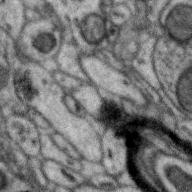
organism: Zebra finch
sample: Brain